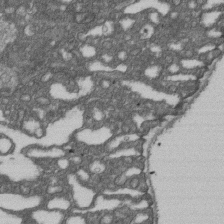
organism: Drosophila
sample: Nephrocyte